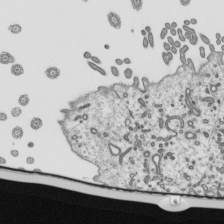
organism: Mouse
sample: Mouse epididymis efferent ductule cilia